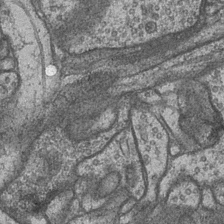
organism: Drosophila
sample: Optic medulla